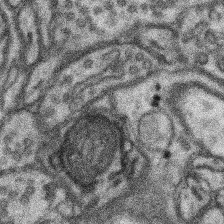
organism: Mouse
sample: Somatosensory cortex neuropil